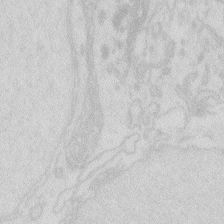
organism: Zebrafish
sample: Macrophage